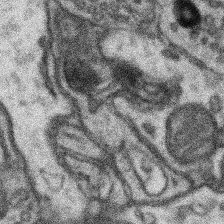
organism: Mouse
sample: Somatosensory cortex neuropil